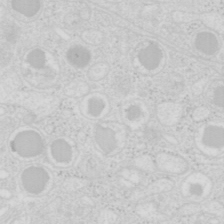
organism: Mouse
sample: Pancreas